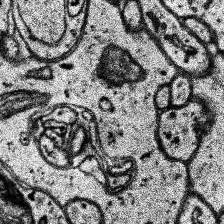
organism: Human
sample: Temporal Lobe